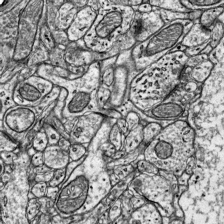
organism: Mouse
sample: Visual Cortex